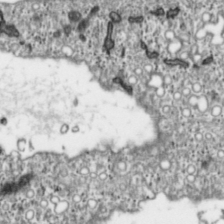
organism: Toxoplasma gondii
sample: Parasites in a vacuole inside a host cell